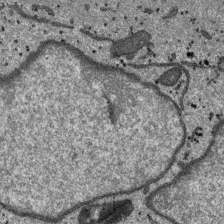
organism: Human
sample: Lung epithelial cells, uninfected (mock) control